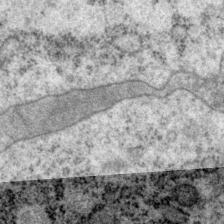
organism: P. pacificus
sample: Pharynx